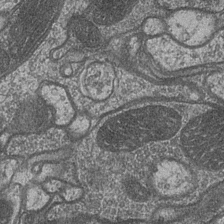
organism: Drosophila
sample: Optic medulla